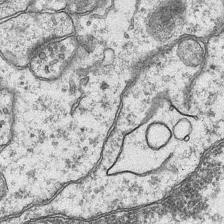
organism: Mouse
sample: CA1 Hippocampus